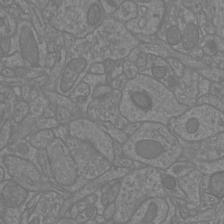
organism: Mouse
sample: Cortical neurons